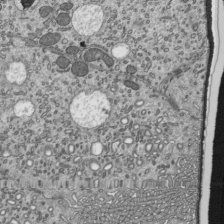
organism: Mouse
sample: Mouse epididymis efferent ductule cilia